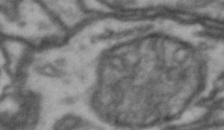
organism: Drosophila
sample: Brain